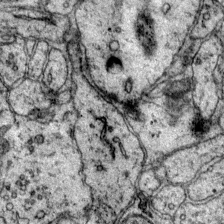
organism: Mouse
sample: Primary visual cortex